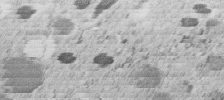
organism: C. elegans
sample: C. elegans embryo early stage